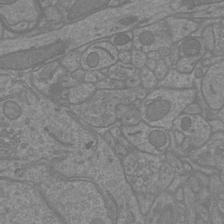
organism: Mouse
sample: Cortical neurons